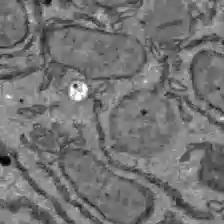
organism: C57BL Mouse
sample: Liver